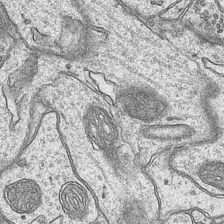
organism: Mouse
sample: CA1 Hippocampus